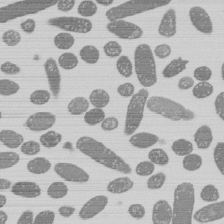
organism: E. coli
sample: Bacterial nucleoid